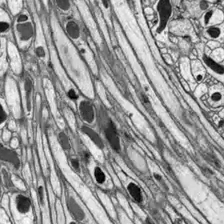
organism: Drosophila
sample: Optic lobe